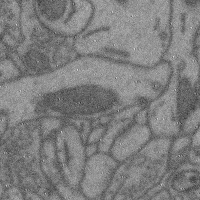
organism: Mouse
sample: Cerebral cortex